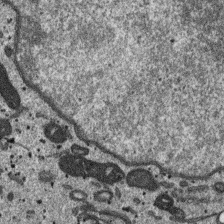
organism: Human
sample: Lung epithelial cells infected with SARS-CoV-2